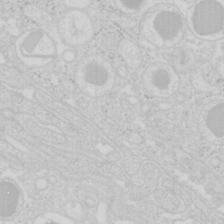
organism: Mouse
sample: Pancreas